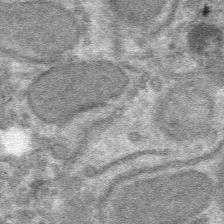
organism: Mouse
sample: Mouse hepatocytes